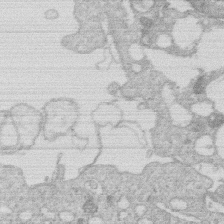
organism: Human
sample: Macrophage cells